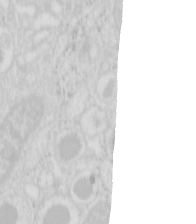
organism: Mouse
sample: Pancreas